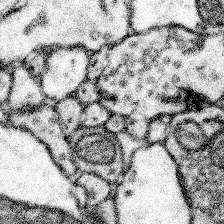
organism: Mouse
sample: Somatosensory cortex neuropil